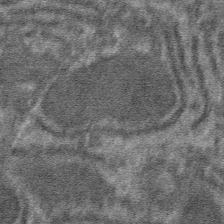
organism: Mouse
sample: Mouse hepatocytes